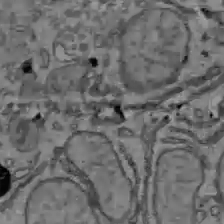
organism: C57BL Mouse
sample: Liver